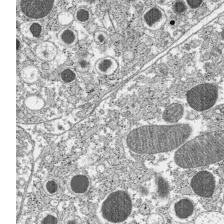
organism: C57BL Mouse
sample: Pancreatic islet